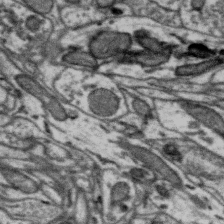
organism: Zebra finch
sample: Brain